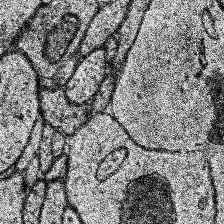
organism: Human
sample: Temporal Lobe